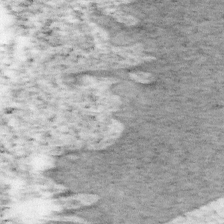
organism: Mouse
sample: OT-I killer T cells with ID8 ovarian cancer cells